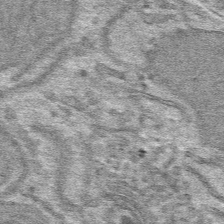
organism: Mouse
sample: Mouse hepatocytes